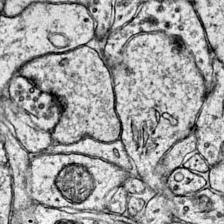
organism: Mouse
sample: Primary visual cortex